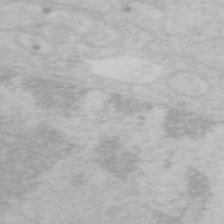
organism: Mouse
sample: OT-I killer T cells with ID8 ovarian cancer cells